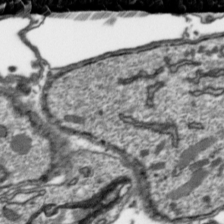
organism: Toxoplasma gondii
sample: Parasites in a vacuole inside a host cell